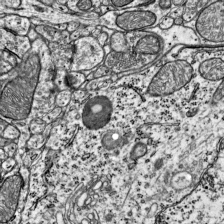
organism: Mouse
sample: Visual Cortex